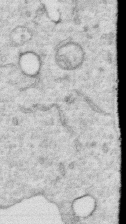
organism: Human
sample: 1205lu cells